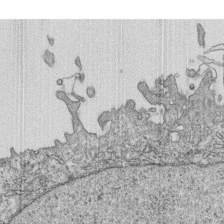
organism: Human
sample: HeLa cell HIV synapse